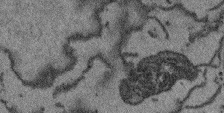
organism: Arabidopsis thaliana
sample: Root tip